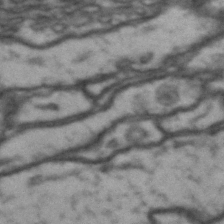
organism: Drosophila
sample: Brain